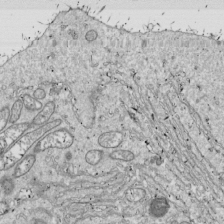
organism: Drosophila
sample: Cell division; meiosis; drosophila spermatocytes